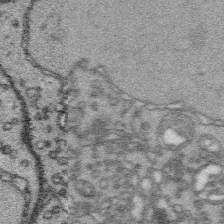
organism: Platynereis dumerilii